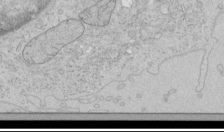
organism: Human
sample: Mitochondria in HCT116 cells